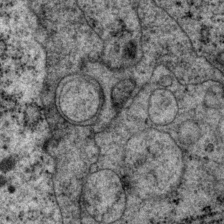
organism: P. pacificus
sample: Pharynx